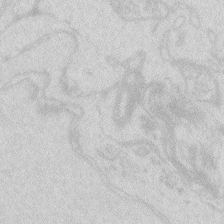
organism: Zebrafish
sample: Macrophage